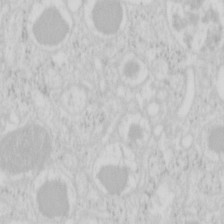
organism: Mouse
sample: Pancreas